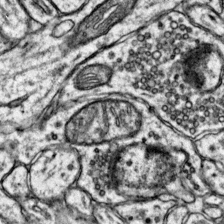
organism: Mouse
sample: Primary visual cortex